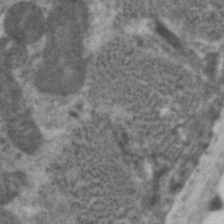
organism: C. elegans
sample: Pharynx